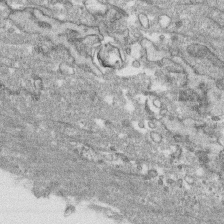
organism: Human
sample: CRL-1474